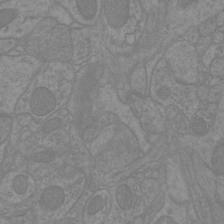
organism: Mouse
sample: Cortical neurons